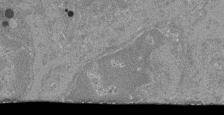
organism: Mouse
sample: Glomerulus